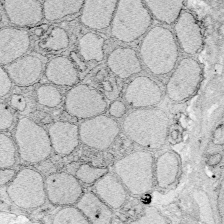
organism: Zebrafish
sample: Whole-Brain